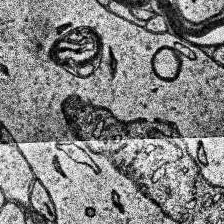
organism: Human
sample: Temporal Lobe